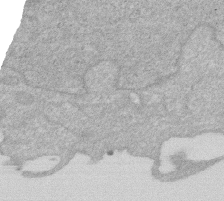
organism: Human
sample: HIV infected U937 cells